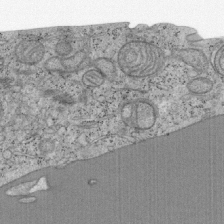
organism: Human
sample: HeLa cells